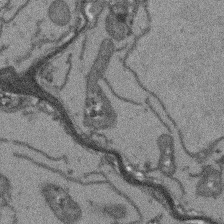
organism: Arabidopsis thaliana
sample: Root tip